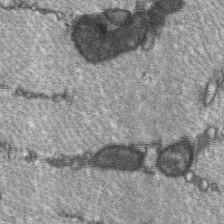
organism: C57BL Mouse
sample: Soleus